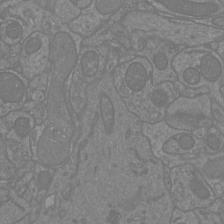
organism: Mouse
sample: Cortical neurons